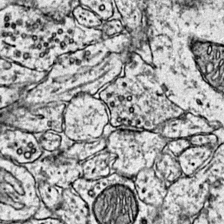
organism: Mouse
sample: Primary visual cortex